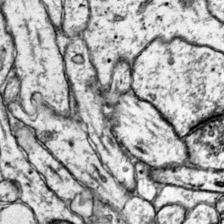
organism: Mouse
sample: Primary visual cortex